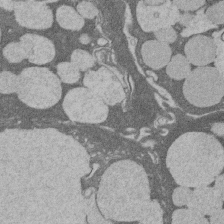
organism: Rat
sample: Salivary granule